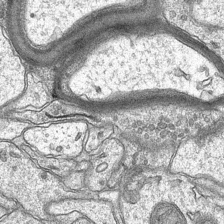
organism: Mouse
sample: CA1 Hippocampus